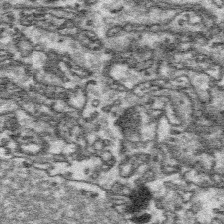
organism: Platynereis dumerilii